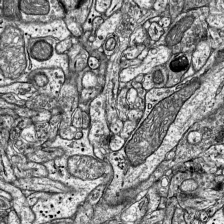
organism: Mouse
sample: Visual Cortex